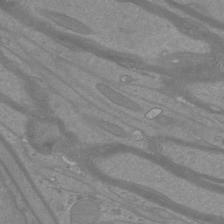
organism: Mouse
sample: Cortical neurons